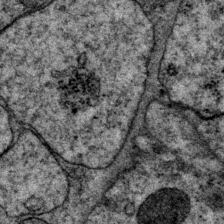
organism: P. pacificus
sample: Pharynx